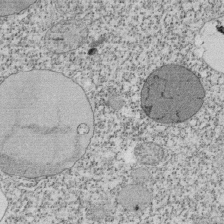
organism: Tetrahymena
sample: Cilia in tetrahymena